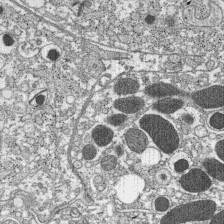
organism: C57BL Mouse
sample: Pancreatic islet